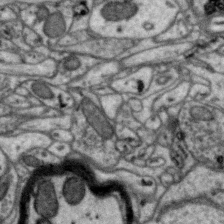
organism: Zebra finch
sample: Brain